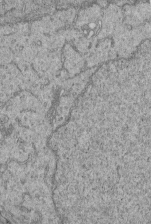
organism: Human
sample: Retinal organoid Rod and Cone cells